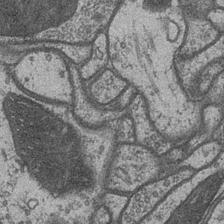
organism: Drosophila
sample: Optic medulla